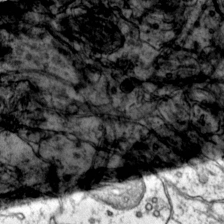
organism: Mouse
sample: Primary visual cortex